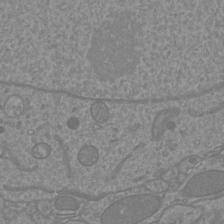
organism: Mouse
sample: Cortical neurons